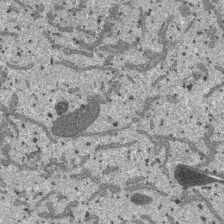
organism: Human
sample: Lung epithelial cells infected with SARS-CoV-2